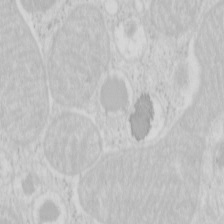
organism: Mouse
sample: Pancreas